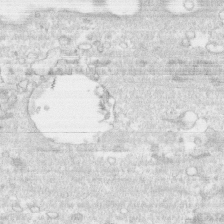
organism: Human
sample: CRL-1474